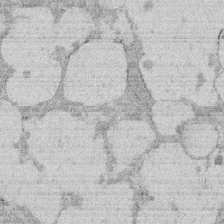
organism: Rat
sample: Salivary granule